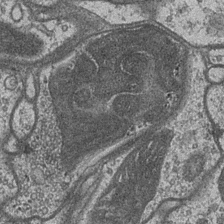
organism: Drosophila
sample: Optic medulla